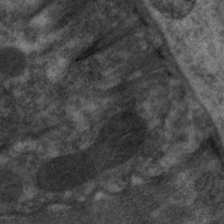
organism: C. elegans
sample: Pharynx